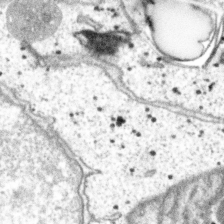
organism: Human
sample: HeLa cells